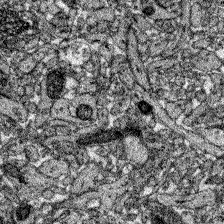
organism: Zebrafish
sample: Larval olfactory bulb